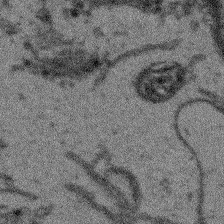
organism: Arabidopsis thaliana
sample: Root tip